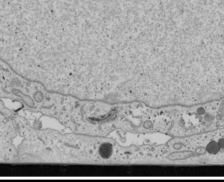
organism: Human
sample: Mitochondria in U2OS cells